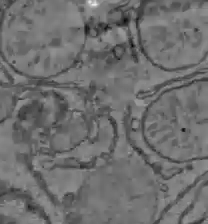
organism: C57BL Mouse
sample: Liver